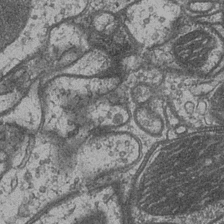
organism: Drosophila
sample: Optic medulla